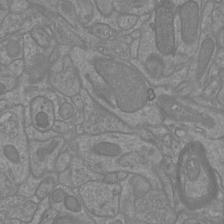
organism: Mouse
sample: Cortical neurons